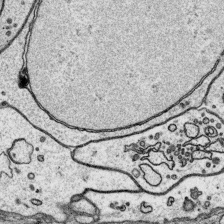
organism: Platynereis dumerilii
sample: Parapodia